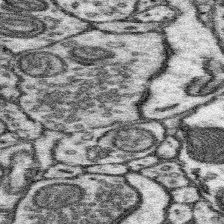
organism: Mouse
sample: Somatosensory cortex neuropil